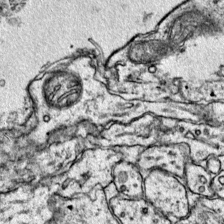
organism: Mouse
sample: Primary visual cortex